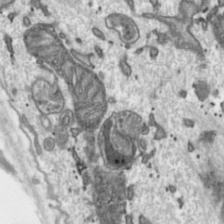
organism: Toxoplasma gondii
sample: Parasites in a vacuole inside a host cell